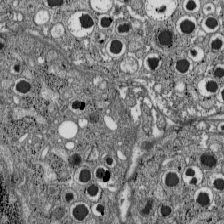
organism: C57BL Mouse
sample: Pancreatic islet